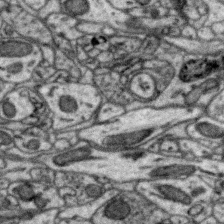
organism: Zebra finch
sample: Brain